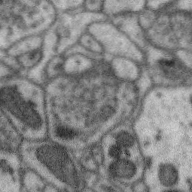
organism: Zebra finch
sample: Brain